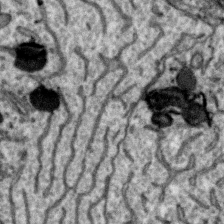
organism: Zebra finch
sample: Brain